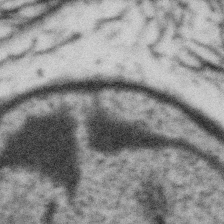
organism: Gemmata obscuriglobus